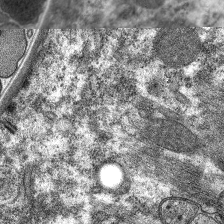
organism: C. elegans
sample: Pharynx